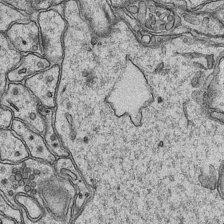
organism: Mouse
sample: CA1 Hippocampus